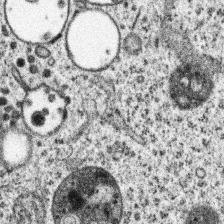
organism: Human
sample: HeLa cells